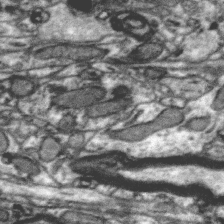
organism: Zebra finch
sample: Brain